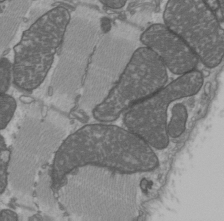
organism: C57BL Mouse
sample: Heart